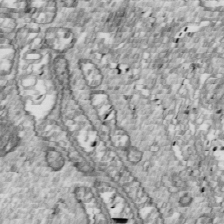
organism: Drosophila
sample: Cell division; meiosis; drosophila spermatocytes